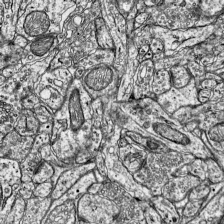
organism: Mouse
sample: Visual Cortex